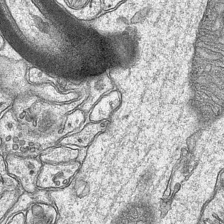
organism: Mouse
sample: CA1 Hippocampus